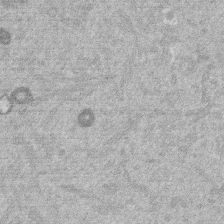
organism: Mouse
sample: Dividing mouse embryo 1 cell stage